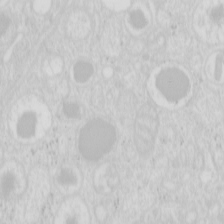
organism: Mouse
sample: Pancreas